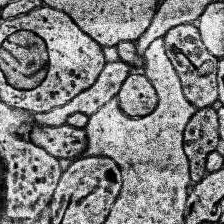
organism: Human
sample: Temporal Lobe